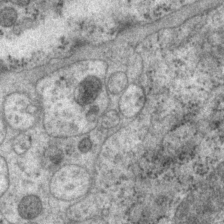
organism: P. pacificus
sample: Pharynx